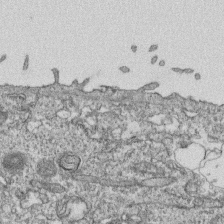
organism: Human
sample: HeLa cell HIV synapse